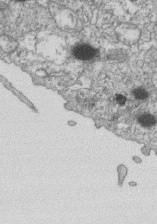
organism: Human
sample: HeLa cell HIV synapse